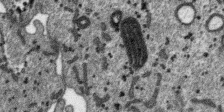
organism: Human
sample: Lung epithelial cells infected with SARS-CoV-2